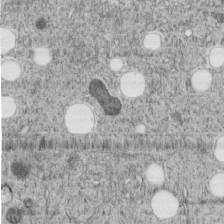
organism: C. elegans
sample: C. elegans embryo early stage